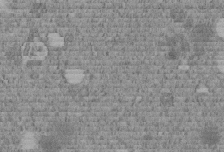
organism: C. elegans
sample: C. elegans embryo early stage